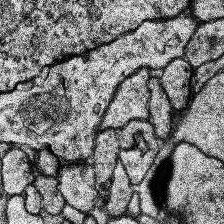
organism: Human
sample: Temporal Lobe